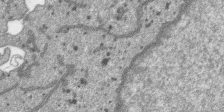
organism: Human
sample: Lung epithelial cells infected with SARS-CoV-2